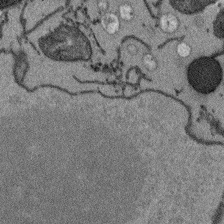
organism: Arabidopsis thaliana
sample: Root tip